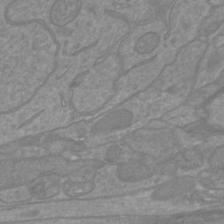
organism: Mouse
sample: Cortical neurons